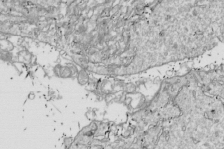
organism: Drosophila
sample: Cell division; meiosis; drosophila spermatocytes